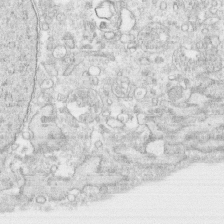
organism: Human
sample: CRL-1474